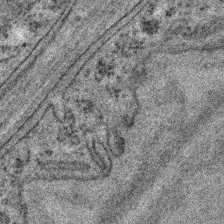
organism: C. elegans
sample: C. elegans embryo